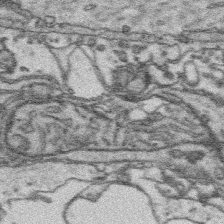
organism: Platynereis dumerilii